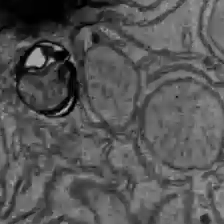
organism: C57BL Mouse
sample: Liver